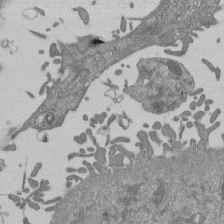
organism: Mouse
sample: ED-1 cell nuclei; centrioles